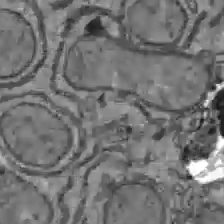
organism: C57BL Mouse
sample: Liver